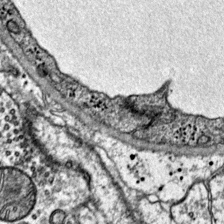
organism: Mouse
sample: Primary visual cortex